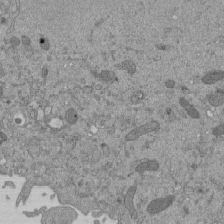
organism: Mouse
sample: ED-1 cell nuclei; centrioles